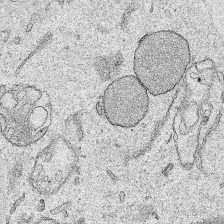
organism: Human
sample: Mitochondria in HCT116 cells